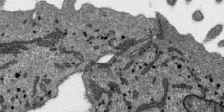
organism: Human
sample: Lung epithelial cells, uninfected (mock) control